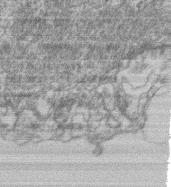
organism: Mouse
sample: T cell stromal cell synapse